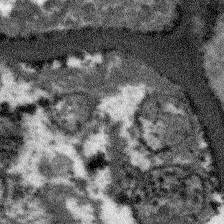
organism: Arabidopsis thaliana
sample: Root tip